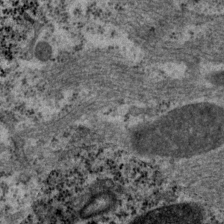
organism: P. pacificus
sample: Pharynx